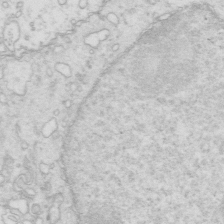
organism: Mouse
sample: Multiciliated cells